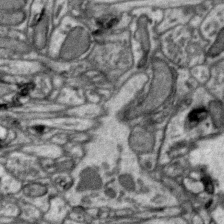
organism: Zebra finch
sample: Brain